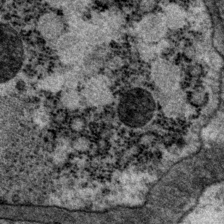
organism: P. pacificus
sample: Pharynx